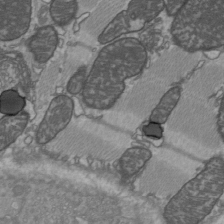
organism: C57BL Mouse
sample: Heart